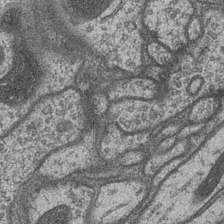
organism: Drosophila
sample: Optic medulla